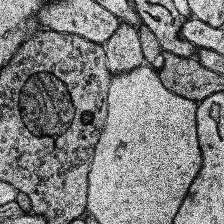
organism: Human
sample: Temporal Lobe